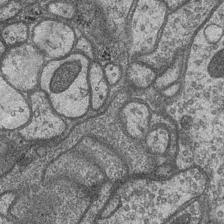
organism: Drosophila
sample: Optic medulla